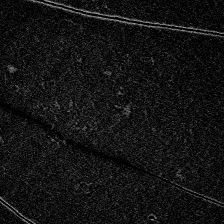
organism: Zebrafish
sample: Whole-Brain